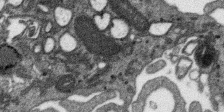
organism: Human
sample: Lung epithelial cells infected with SARS-CoV-2